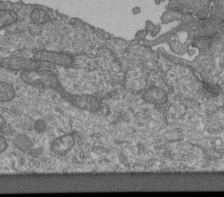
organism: Human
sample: Retinal organoid Rod and Cone cells